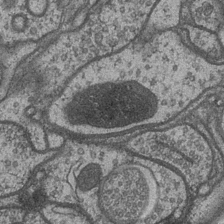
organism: Drosophila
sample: Optic medulla